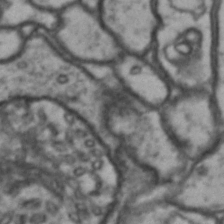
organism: Drosophila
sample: Brain